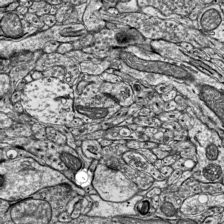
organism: Mouse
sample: Visual Cortex